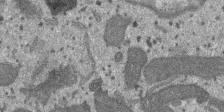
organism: Human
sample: Lung epithelial cells infected with SARS-CoV-2